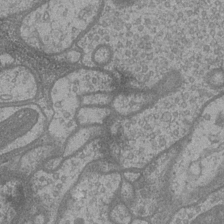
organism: Drosophila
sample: Optic medulla